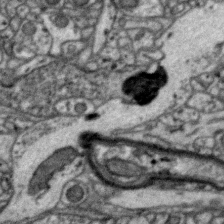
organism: Zebra finch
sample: Brain